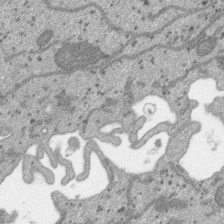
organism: Human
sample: Lung epithelial cells infected with SARS-CoV-2